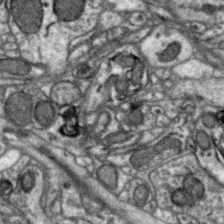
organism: Zebra finch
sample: Brain